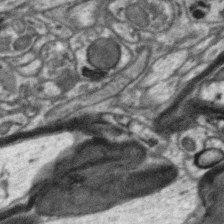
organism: Zebra finch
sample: Brain